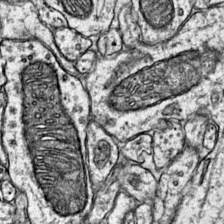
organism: Mouse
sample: Primary visual cortex